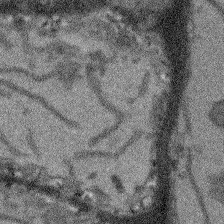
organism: Arabidopsis thaliana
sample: Root tip